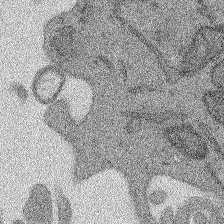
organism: Human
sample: HeLa cells